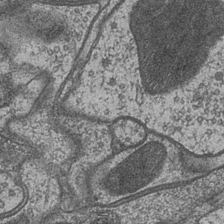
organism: Drosophila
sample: Optic medulla